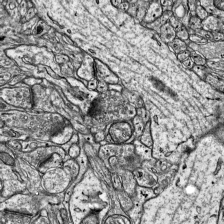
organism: Mouse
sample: Visual Cortex